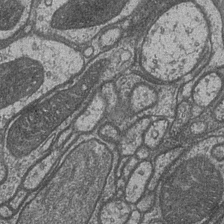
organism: Drosophila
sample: Optic medulla